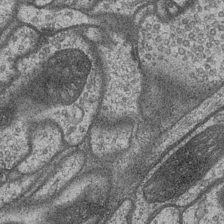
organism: Drosophila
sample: Optic medulla